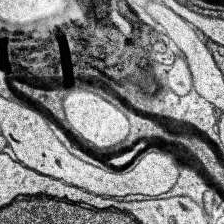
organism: Human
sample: Temporal Lobe